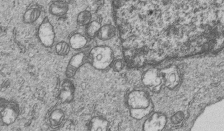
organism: Human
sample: MDA-MB-231 cells